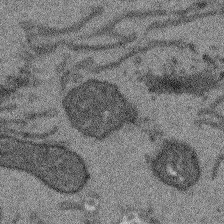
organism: Arabidopsis thaliana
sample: Root tip